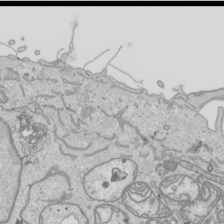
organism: Human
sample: Mitochondria in HCT116 cells